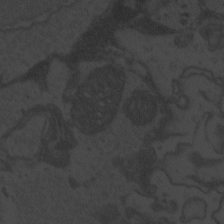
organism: Zebrafish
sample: Macrophage infected with Toxoplasma gondii